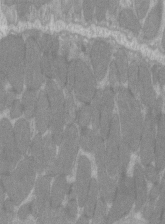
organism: C57BL Mouse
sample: Tibialis anterior muscle cell